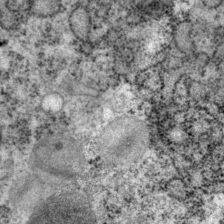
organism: P. pacificus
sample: Pharynx